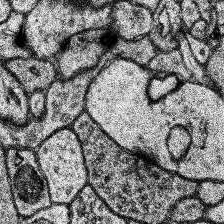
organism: Human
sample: Temporal Lobe